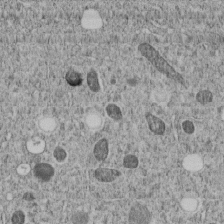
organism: C. elegans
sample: C. elegans embryo early stage